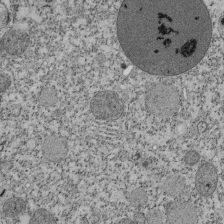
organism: Tetrahymena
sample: Cilia in tetrahymena